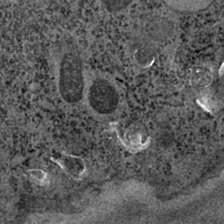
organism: C. elegans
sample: C. elegans embryo